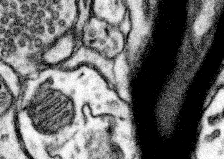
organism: Mouse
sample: Somatosensory cortex neuropil